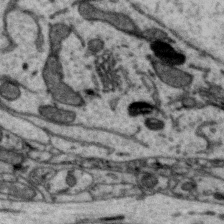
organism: Zebra finch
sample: Brain